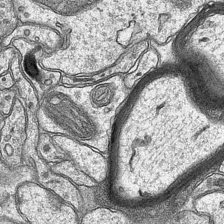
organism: Mouse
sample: CA1 Hippocampus